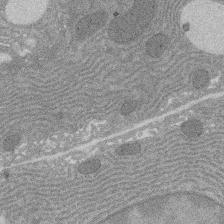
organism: Rat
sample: Salivary granule